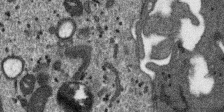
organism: Human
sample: Lung epithelial cells infected with SARS-CoV-2